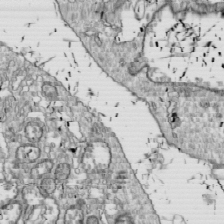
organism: Drosophila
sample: Cell division; meiosis; drosophila spermatocytes